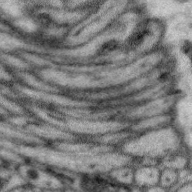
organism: Zebra finch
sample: Brain